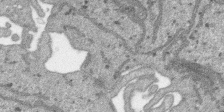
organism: Human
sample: Lung epithelial cells infected with SARS-CoV-2